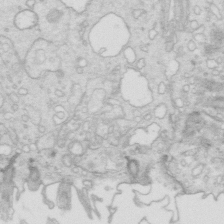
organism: Mouse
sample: Multiciliated cells